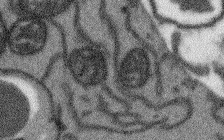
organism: Arabidopsis thaliana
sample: Root tip